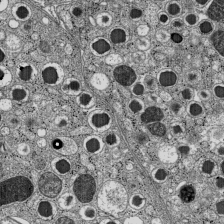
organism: C57BL Mouse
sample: Pancreatic islet